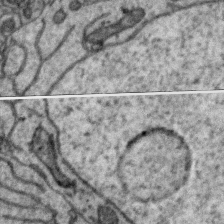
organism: Zebra finch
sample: Brain